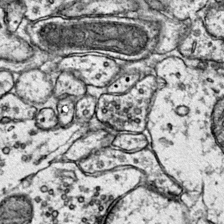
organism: Mouse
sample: Primary visual cortex